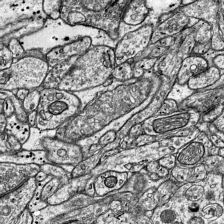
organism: Mouse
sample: Visual Cortex